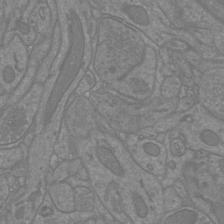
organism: Mouse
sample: Cortical neurons